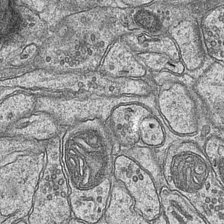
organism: Mouse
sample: CA1 Hippocampus